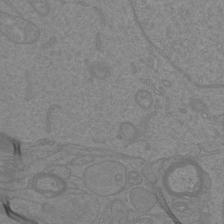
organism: Mouse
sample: Cortical neurons